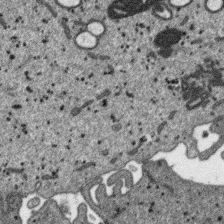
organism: Human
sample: Lung epithelial cells infected with SARS-CoV-2